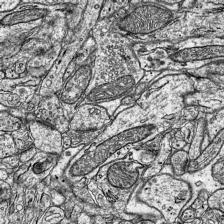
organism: Mouse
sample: Visual Cortex